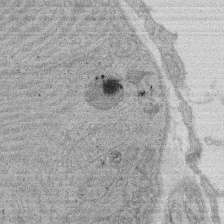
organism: Rat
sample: Salivary granule